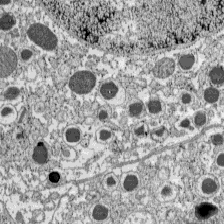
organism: C57BL Mouse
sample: Pancreatic islet